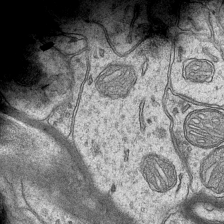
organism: Mouse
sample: CA1 Hippocampus